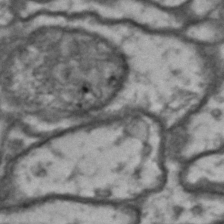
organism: Drosophila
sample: Brain